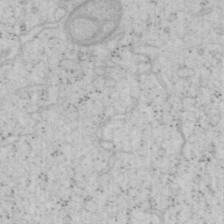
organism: Human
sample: HeLa cells